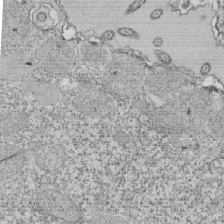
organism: Tetrahymena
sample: Cilia in tetrahymena